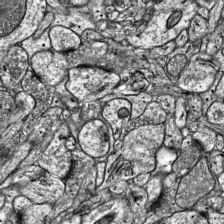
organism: Mouse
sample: Visual Cortex